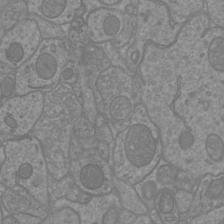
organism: Mouse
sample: Cortical neurons